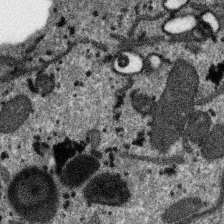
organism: Human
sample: Lung epithelial cells infected with SARS-CoV-2